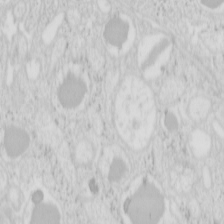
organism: Mouse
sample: Pancreas